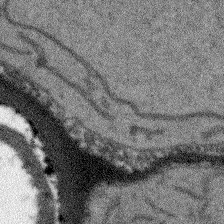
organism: Arabidopsis thaliana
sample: Root tip